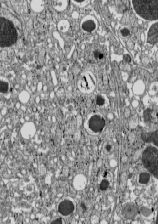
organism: C57BL Mouse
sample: Pancreatic islet